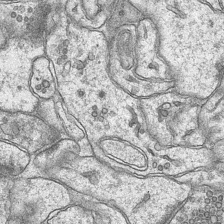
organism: Mouse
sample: CA1 Hippocampus